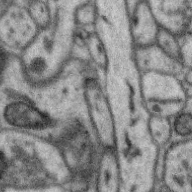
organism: Zebra finch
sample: Brain